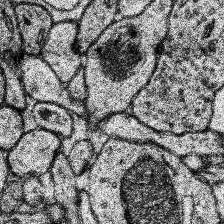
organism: Human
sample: Temporal Lobe